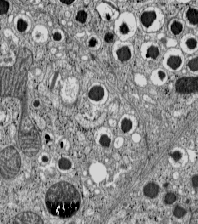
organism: C57BL Mouse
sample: Pancreatic islet